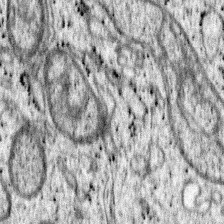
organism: Human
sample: HeLa cells